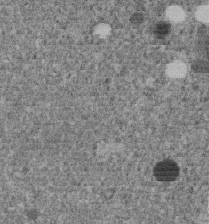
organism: C. elegans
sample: C. elegans embryo early stage